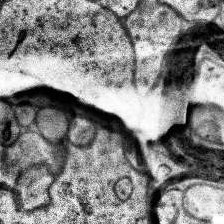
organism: Human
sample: Temporal Lobe